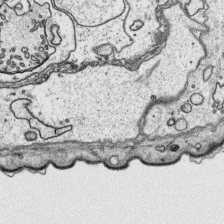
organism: Platynereis dumerilii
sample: Parapodia